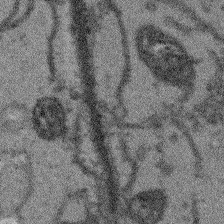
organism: Arabidopsis thaliana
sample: Root tip